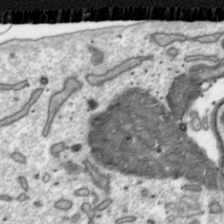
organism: Toxoplasma gondii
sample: Parasites in a vacuole inside a host cell